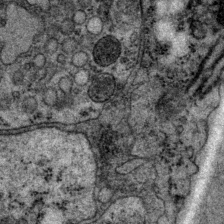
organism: P. pacificus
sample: Pharynx